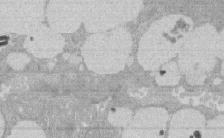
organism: Rat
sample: Salivary granule